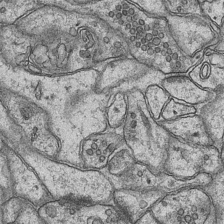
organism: Mouse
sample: CA1 Hippocampus